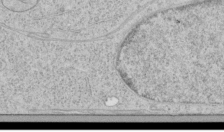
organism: Human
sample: Mitochondria in HCT116 cells